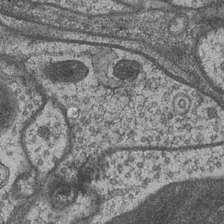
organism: Drosophila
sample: Optic medulla